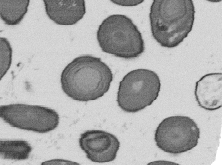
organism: B. subtilis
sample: Bacterial spore